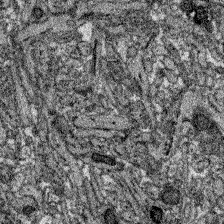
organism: Zebrafish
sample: Larval olfactory bulb